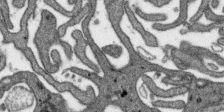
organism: Human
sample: Lung epithelial cells, uninfected (mock) control